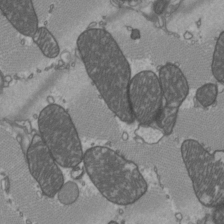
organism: C57BL Mouse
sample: Heart